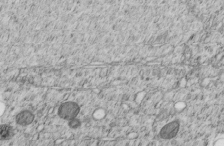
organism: C. elegans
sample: C. elegans embryo early stage